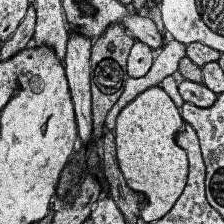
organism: Human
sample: Temporal Lobe